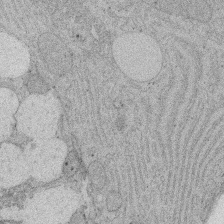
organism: Rat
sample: Salivary granule